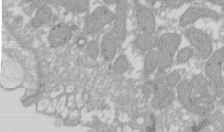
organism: Xenopus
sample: Cilia; centrioles in frog embryo cells